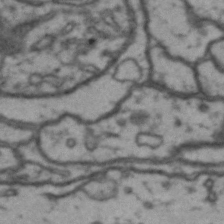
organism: Drosophila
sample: Brain